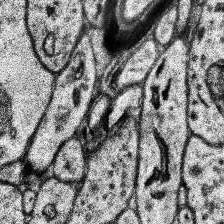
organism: Human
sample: Temporal Lobe